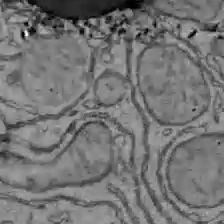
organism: C57BL Mouse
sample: Liver